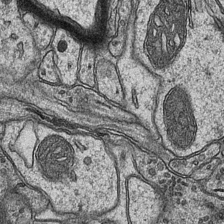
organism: Mouse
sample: CA1 Hippocampus